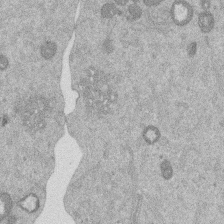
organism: Mouse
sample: Dividing mouse embryo 1 cell stage